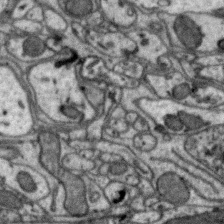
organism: Zebra finch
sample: Brain